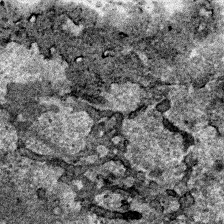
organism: Human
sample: Mitochondria in HCT116 cells